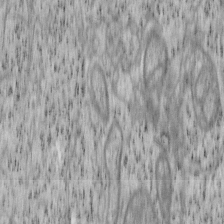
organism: Human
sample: HeLa cells